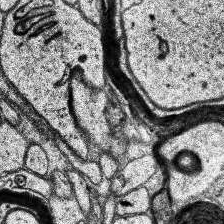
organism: Human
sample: Temporal Lobe